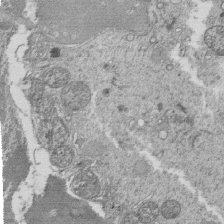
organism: Tetrahymena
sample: Cilia in tetrahymena